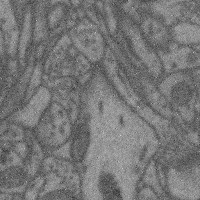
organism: Mouse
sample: Cerebral cortex